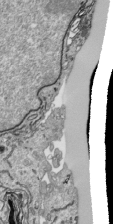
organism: Human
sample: Mitochondria in HCT116 cells